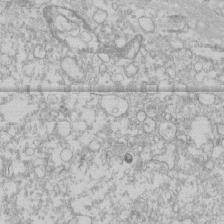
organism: Human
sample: CRL-1474